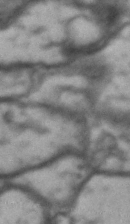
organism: Drosophila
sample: Brain